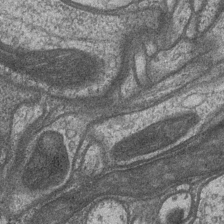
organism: Drosophila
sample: Optic medulla